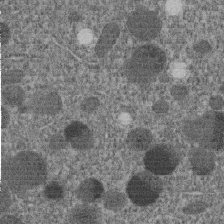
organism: C. elegans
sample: C. elegans embryo early stage